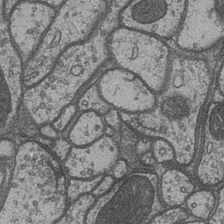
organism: Drosophila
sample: Optic medulla